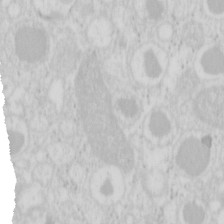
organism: Mouse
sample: Pancreas